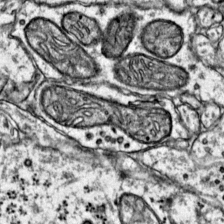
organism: Mouse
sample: Primary visual cortex